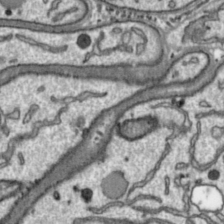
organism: Toxoplasma gondii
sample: Parasites in a vacuole inside a host cell